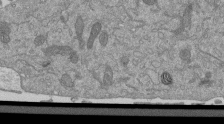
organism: Mouse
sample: ED-1 cell nuclei; centrioles